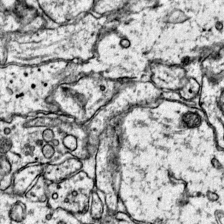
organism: Mouse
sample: Primary visual cortex